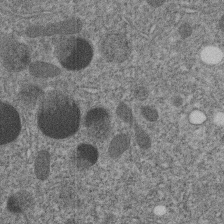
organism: C. elegans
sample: C. elegans embryo early stage